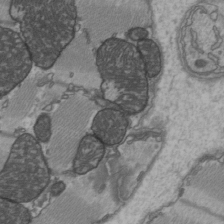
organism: C57BL Mouse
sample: Heart